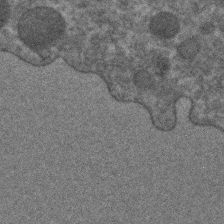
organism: C. elegans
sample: C. elegans embryo